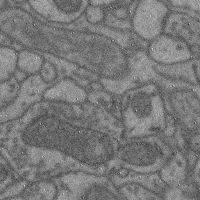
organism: Mouse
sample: Cerebral cortex